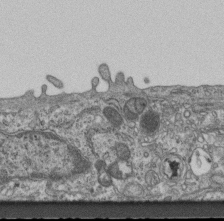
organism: Mouse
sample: Centriole in ependymal cells